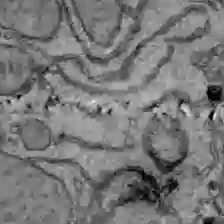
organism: C57BL Mouse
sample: Liver